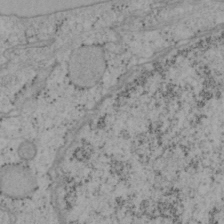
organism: Human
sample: HeLa cells